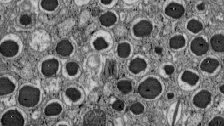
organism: C57BL Mouse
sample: Pancreatic islet